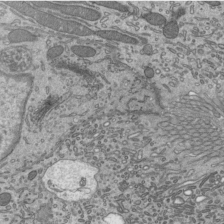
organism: Mouse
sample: Mouse epididymis efferent ductule cilia